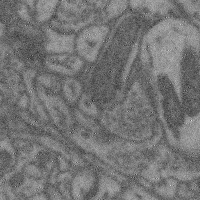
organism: Mouse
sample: Cerebral cortex